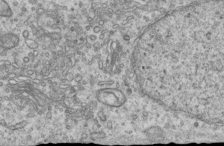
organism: Human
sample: Centriole in RPE cells